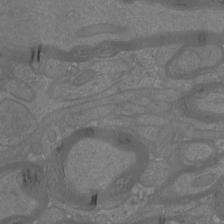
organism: Mouse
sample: Cortical neurons